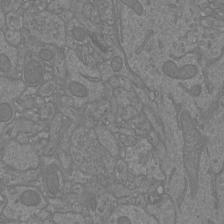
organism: Mouse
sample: Cortical neurons